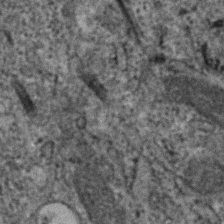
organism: Human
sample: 1205lu cells